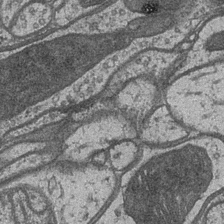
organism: Drosophila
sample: Optic medulla